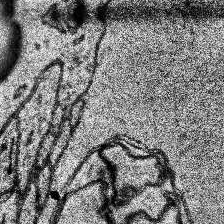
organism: Human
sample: Temporal Lobe